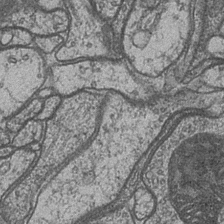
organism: Drosophila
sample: Optic medulla